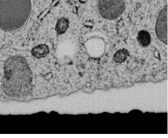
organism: C. elegans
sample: C. elegans embryo early stage